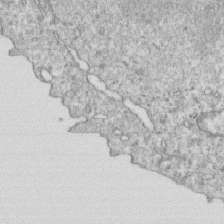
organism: Mouse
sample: Activated OT-1 CD8+ T cells